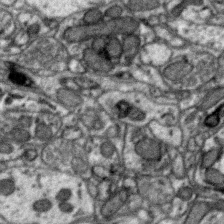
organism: Zebra finch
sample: Brain